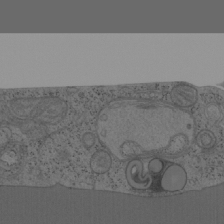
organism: Human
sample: HeLa cells